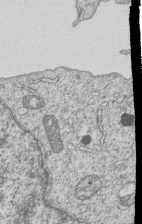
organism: Human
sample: MDA-MB-231 cells